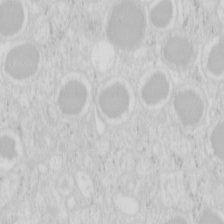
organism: Mouse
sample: Pancreas